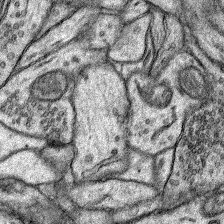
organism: Rat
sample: Hippocampus